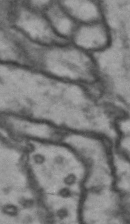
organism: Drosophila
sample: Brain